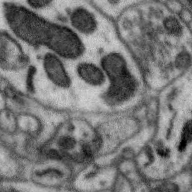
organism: Zebra finch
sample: Brain